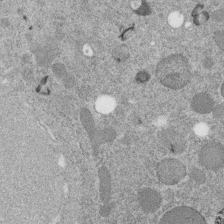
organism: C. elegans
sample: C. elegans embryo early stage